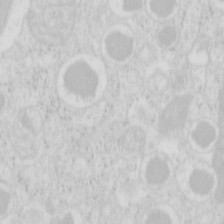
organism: Mouse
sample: Pancreas